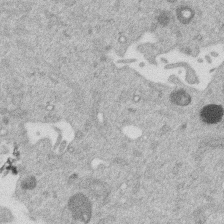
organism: Mouse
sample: Dividing mouse embryo 1 cell stage